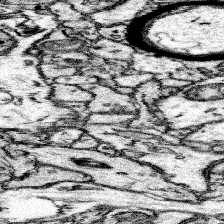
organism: Mouse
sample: Somatosensory cortex neuropil